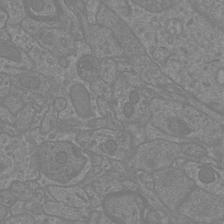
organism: Mouse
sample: Cortical neurons